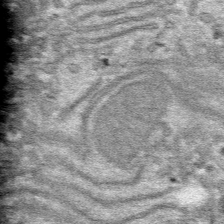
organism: Mouse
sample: Mouse hepatocytes